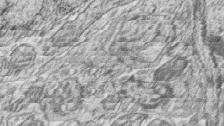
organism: Zebrafish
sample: synaptic ribbons in rod cells and cone cells